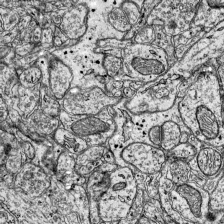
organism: Mouse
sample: Visual Cortex